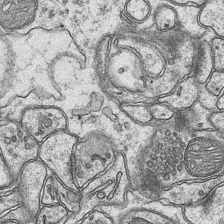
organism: Mouse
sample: CA1 Hippocampus